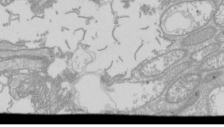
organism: Drosophila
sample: Cell division; meiosis; drosophila spermatocytes